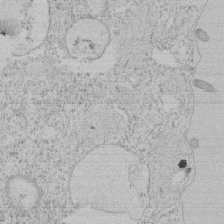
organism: Tetrahymena